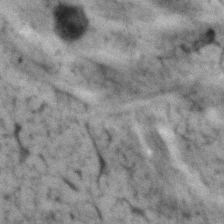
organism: Human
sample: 1205lu cells